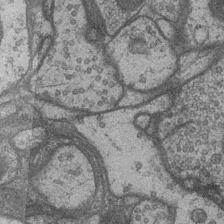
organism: Drosophila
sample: Optic medulla